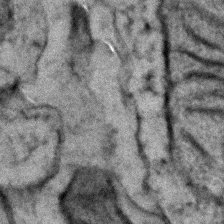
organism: Zebrafish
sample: Zebrafish embryo